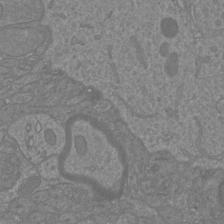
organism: Mouse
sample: Cortical neurons